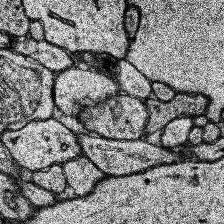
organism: Human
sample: Temporal Lobe